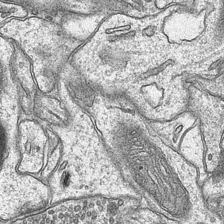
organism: Mouse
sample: CA1 Hippocampus